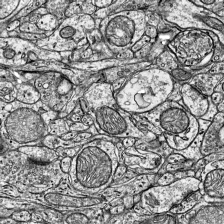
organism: Mouse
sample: Visual Cortex